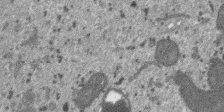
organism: Human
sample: Lung epithelial cells infected with SARS-CoV-2